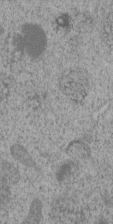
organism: C. elegans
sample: C. elegans embryo early stage